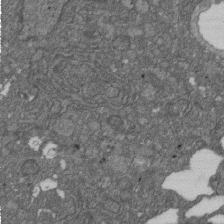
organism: Drosophila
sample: Nephrocyte